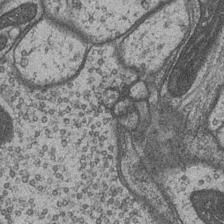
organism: Drosophila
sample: Optic medulla